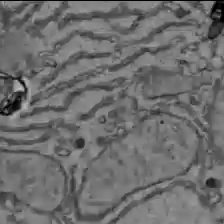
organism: C57BL Mouse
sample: Liver